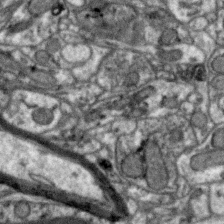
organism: Zebra finch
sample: Brain